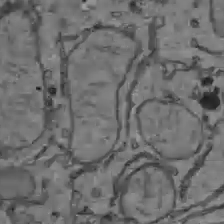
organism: C57BL Mouse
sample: Liver